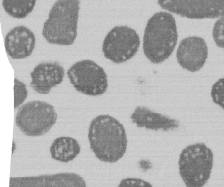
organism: E. coli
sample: Bacterial nucleoid